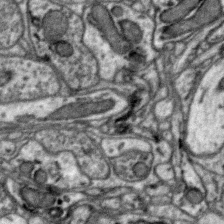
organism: Zebra finch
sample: Brain